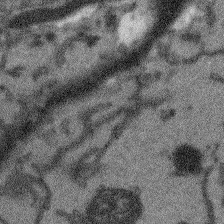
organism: Arabidopsis thaliana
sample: Root tip